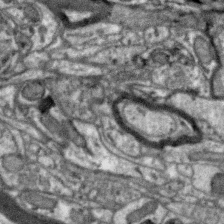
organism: Zebra finch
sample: Brain